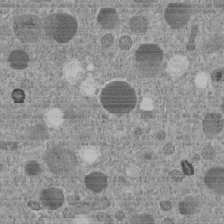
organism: C. elegans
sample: C. elegans embryo early stage